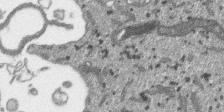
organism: Human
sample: Lung epithelial cells infected with SARS-CoV-2